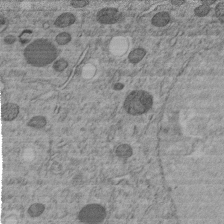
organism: C. elegans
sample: C. elegans embryo early stage